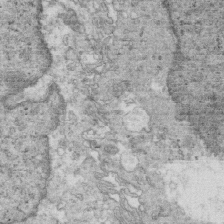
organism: Mouse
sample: Multiciliated cells